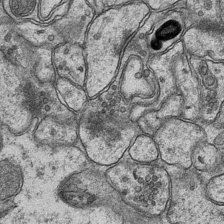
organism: Mouse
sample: CA1 Hippocampus